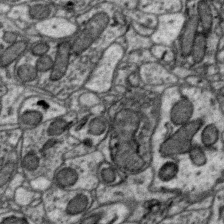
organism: Zebra finch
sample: Brain